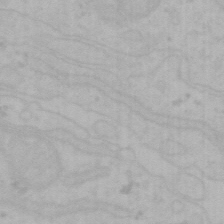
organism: Mouse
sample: Choroid plexus